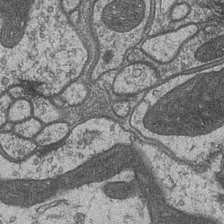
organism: Drosophila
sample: Optic medulla